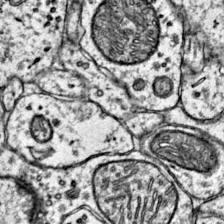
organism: Mouse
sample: Primary visual cortex